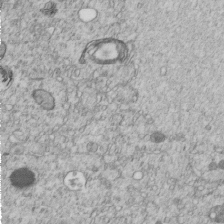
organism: C. elegans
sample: C. elegans embryo early stage